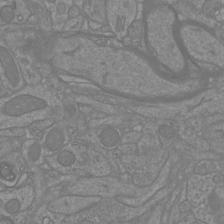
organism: Mouse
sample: Cortical neurons